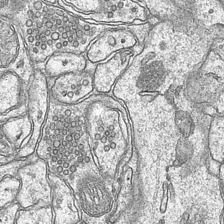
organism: Mouse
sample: CA1 Hippocampus